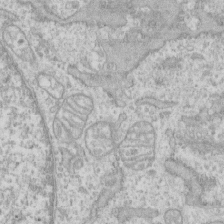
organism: Human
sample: CRL-1474